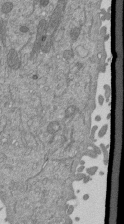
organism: Mouse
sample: ED-1 cell nuclei; centrioles